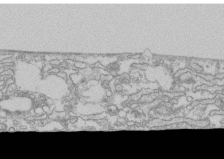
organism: Human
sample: CRL-1474